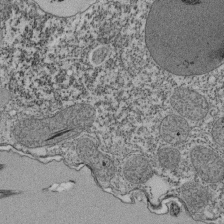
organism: Tetrahymena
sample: Cilia in tetrahymena